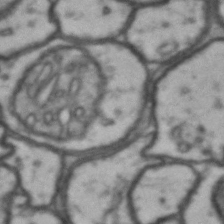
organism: Drosophila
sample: Brain